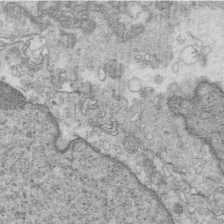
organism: Mouse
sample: Multiciliated cells